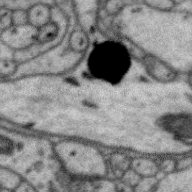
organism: Zebra finch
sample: Brain